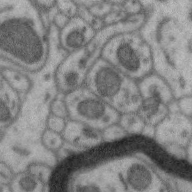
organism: Zebra finch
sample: Brain